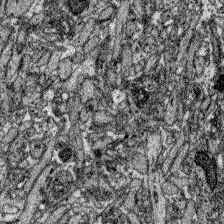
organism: Zebrafish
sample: Larval olfactory bulb